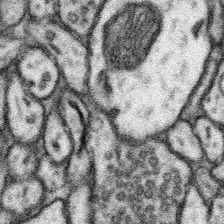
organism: Mouse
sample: Somatosensory cortex neuropil